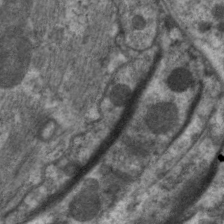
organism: C. elegans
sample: Pharynx